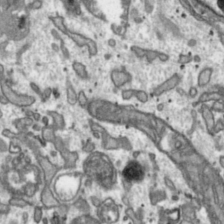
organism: Toxoplasma gondii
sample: Parasites in a vacuole inside a host cell